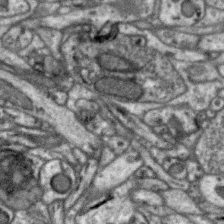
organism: Zebra finch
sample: Brain